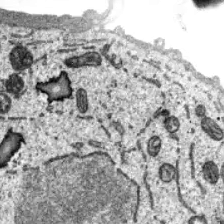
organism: Human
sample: HeLa cells